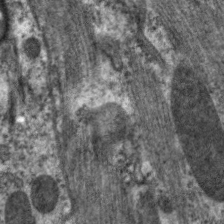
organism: C. elegans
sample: Pharynx